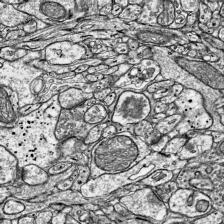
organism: Mouse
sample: Visual Cortex